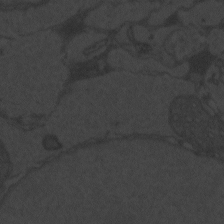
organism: Zebrafish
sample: Macrophage infected with Toxoplasma gondii